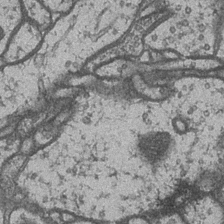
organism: Drosophila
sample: Optic medulla